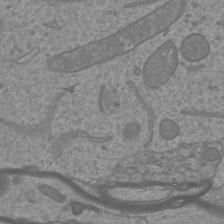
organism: Mouse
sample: Cortical neurons